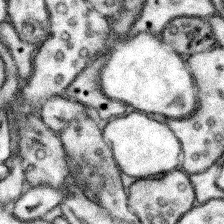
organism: Mouse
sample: Somatosensory cortex neuropil